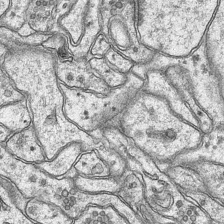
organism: Mouse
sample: CA1 Hippocampus